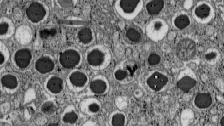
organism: C57BL Mouse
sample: Pancreatic islet